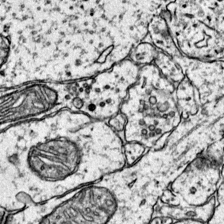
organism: Mouse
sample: Primary visual cortex